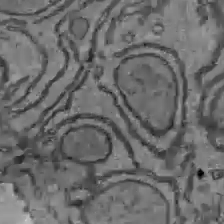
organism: C57BL Mouse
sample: Liver